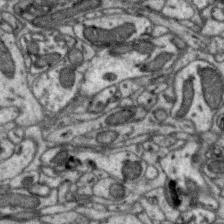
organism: Zebra finch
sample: Brain